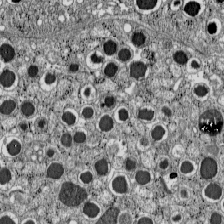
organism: C57BL Mouse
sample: Pancreatic islet